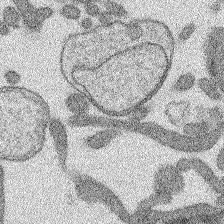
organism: Human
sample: HeLa cells